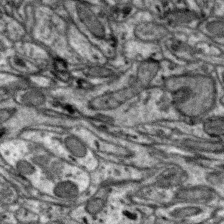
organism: Zebra finch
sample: Brain